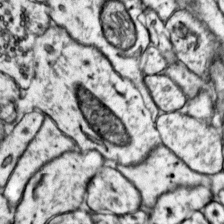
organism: Mouse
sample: Primary visual cortex